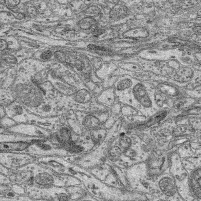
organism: Mouse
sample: Retina